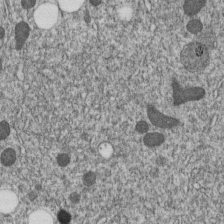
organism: C. elegans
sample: C. elegans embryo early stage